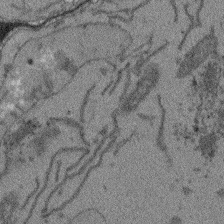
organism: Arabidopsis thaliana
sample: Root tip